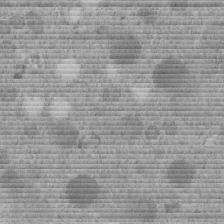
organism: C. elegans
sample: C. elegans embryo early stage